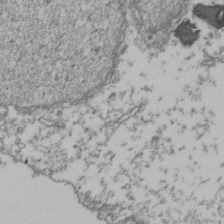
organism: Human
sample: Activated Jurkat CD4+ T cells